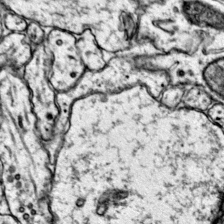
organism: Mouse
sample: Primary visual cortex